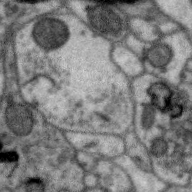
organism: Zebra finch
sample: Brain